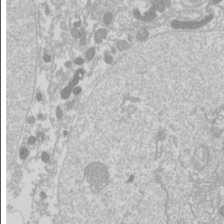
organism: Drosophila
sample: Cell division; meiosis; drosophila spermatocytes